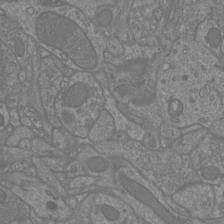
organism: Mouse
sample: Cortical neurons